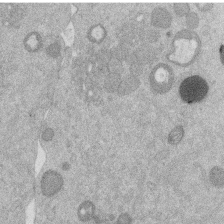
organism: Mouse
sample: Dividing mouse embryo 1 cell stage